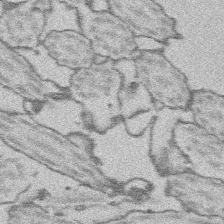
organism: Platynereis dumerilii